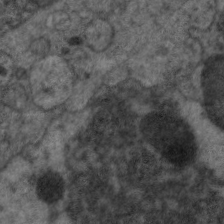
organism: C. elegans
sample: Pharynx